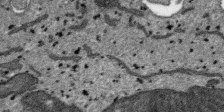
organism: Human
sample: Lung epithelial cells, uninfected (mock) control